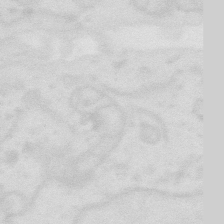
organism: Human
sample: HeLa cells